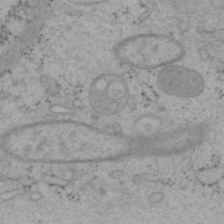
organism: Human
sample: HeLa cells